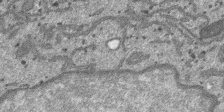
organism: Human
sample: Lung epithelial cells infected with SARS-CoV-2